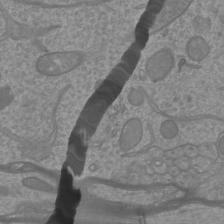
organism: Mouse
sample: Cortical neurons